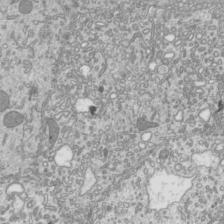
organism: Mouse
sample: Cilia; mouse epididymis